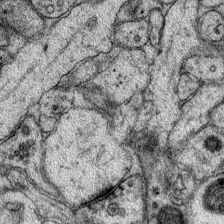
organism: Mouse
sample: Primary visual cortex